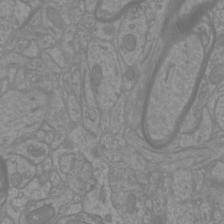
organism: Mouse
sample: Cortical neurons